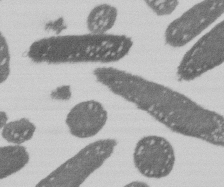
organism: E. coli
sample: Bacterial nucleoid